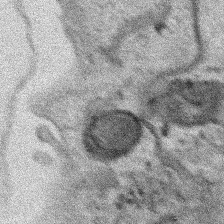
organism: Human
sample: Mitochondria in HCT116 cells